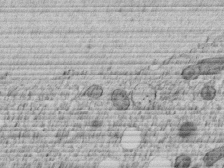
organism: C. elegans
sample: C. elegans embryo early stage